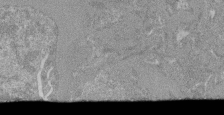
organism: Mouse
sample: Glomerulus